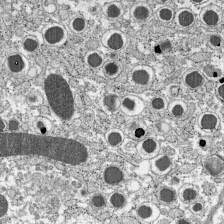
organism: C57BL Mouse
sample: Pancreatic islet